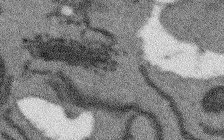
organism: Arabidopsis thaliana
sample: Root tip